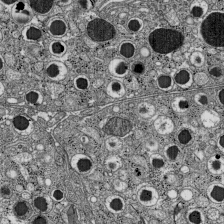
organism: C57BL Mouse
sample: Pancreatic islet